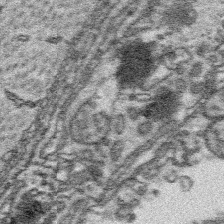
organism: Platynereis dumerilii